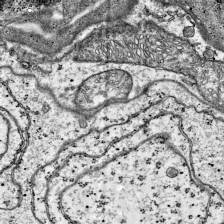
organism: Mouse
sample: Visual Cortex